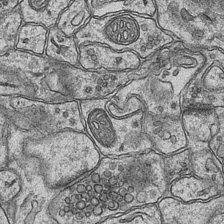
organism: Mouse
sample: CA1 Hippocampus